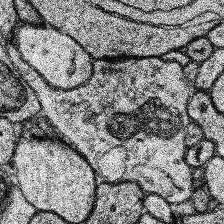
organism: Human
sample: Temporal Lobe